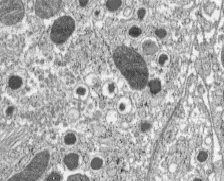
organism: C57BL Mouse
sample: Pancreatic islet